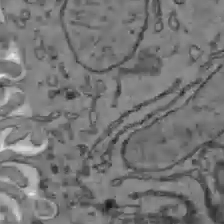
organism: C57BL Mouse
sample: Liver